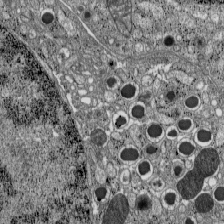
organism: C57BL Mouse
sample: Pancreatic islet